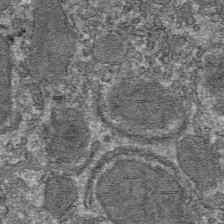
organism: Mouse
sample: Mouse hepatocytes